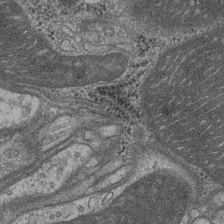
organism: Drosophila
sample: Optic medulla